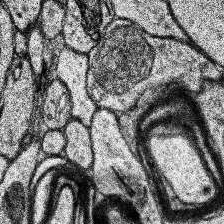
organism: Human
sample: Temporal Lobe